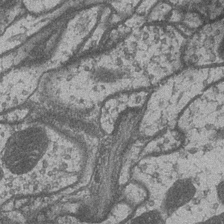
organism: Drosophila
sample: Optic medulla